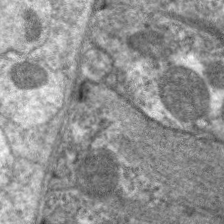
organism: C. elegans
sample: Pharynx